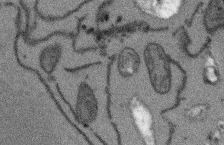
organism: Arabidopsis thaliana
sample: Root tip